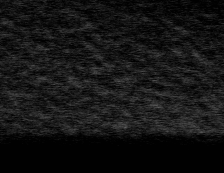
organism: Human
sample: HeLa cells